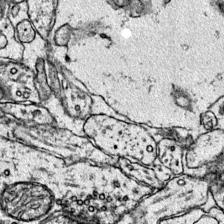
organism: Mouse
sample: Primary visual cortex